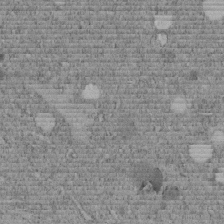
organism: C. elegans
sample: C. elegans embryo early stage